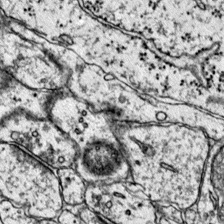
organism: Mouse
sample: Primary visual cortex